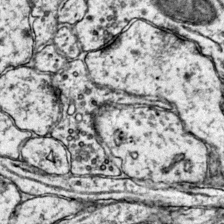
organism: Mouse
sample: Primary visual cortex